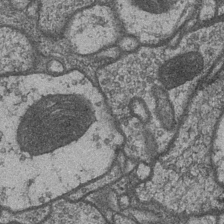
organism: Drosophila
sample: Optic medulla